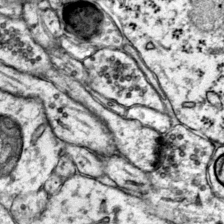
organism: Mouse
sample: Primary visual cortex